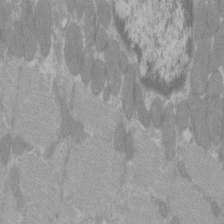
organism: C57BL Mouse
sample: Tibialis anterior muscle cell